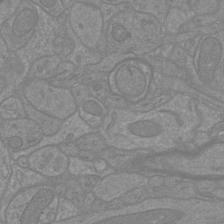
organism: Mouse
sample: Cortical neurons